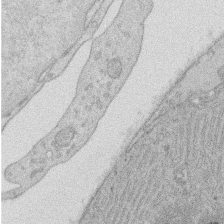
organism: Rat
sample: Salivary granule